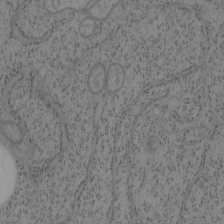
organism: Mouse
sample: OT-I killer T cells with ID8 ovarian cancer cells